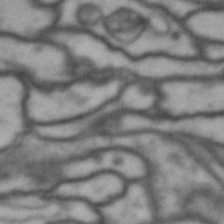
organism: Drosophila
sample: Brain